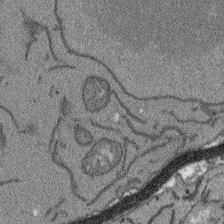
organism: Arabidopsis thaliana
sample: Root tip